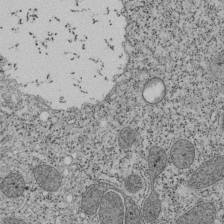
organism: Tetrahymena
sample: Cilia in tetrahymena